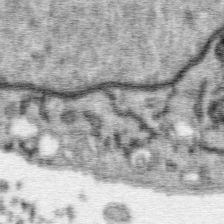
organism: Human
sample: HeLa cells